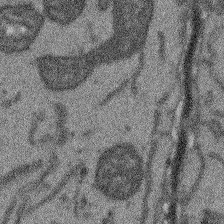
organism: Arabidopsis thaliana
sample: Root tip